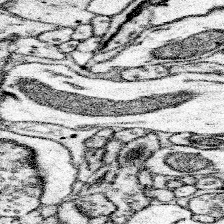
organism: Mouse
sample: Somatosensory cortex neuropil